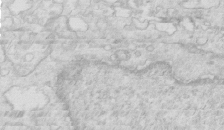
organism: Mouse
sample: Multiciliated cells